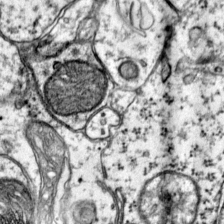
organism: Mouse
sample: Primary visual cortex